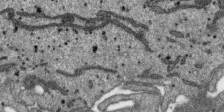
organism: Human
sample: Lung epithelial cells, uninfected (mock) control